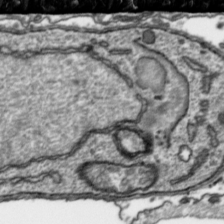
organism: Toxoplasma gondii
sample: Parasites in a vacuole inside a host cell